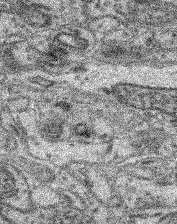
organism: Mouse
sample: Retina